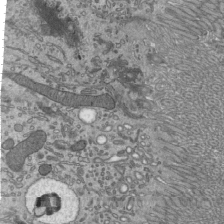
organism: Mouse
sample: Mouse epididymis efferent ductule cilia